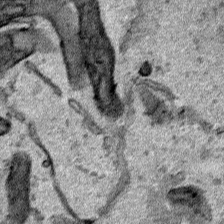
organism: Human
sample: Mitochondria in HCT116 cells